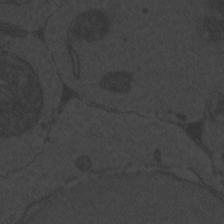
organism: Zebrafish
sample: Macrophage infected with Toxoplasma gondii